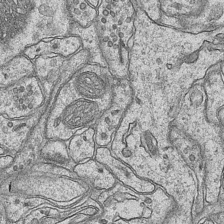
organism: Mouse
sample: CA1 Hippocampus